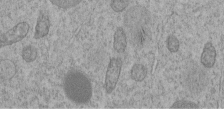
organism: C. elegans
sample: C. elegans embryo early stage